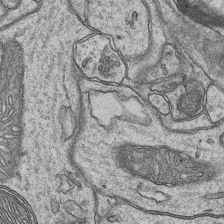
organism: Mouse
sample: CA1 Hippocampus